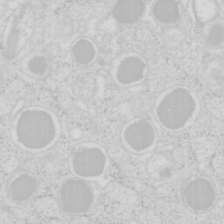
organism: Mouse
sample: Pancreas